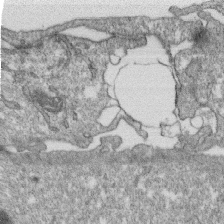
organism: African green monkey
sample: Vero E6 cells infected with SARS-CoV-2